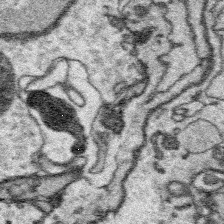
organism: Platynereis dumerilii